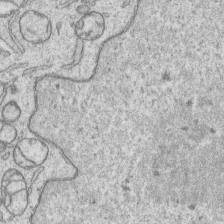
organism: Human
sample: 1205lu cells